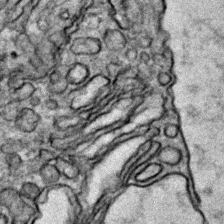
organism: Zebrafish